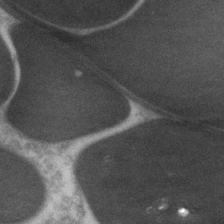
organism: Zebrafish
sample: Zebrafish embryo